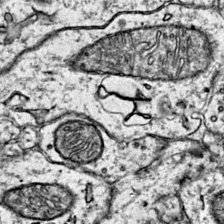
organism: Mouse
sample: Primary visual cortex